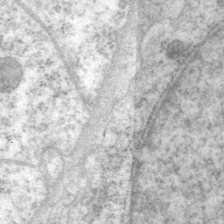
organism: P. pacificus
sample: Pharynx